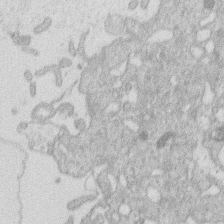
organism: Human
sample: Macrophage cells